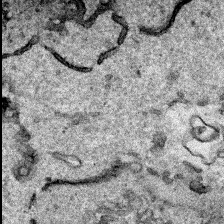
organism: Human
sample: Mitochondria in HCT116 cells